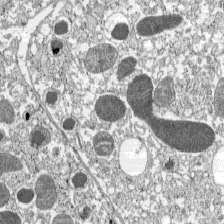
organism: C57BL Mouse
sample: Pancreatic islet